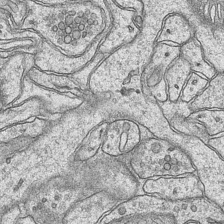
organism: Mouse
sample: CA1 Hippocampus